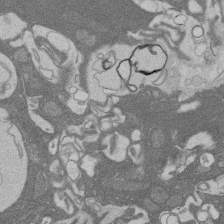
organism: Rat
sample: Salivary granule